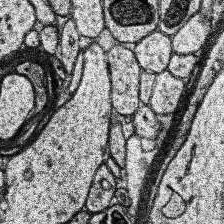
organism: Human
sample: Temporal Lobe